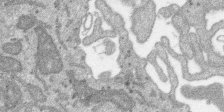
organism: Human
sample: Lung epithelial cells infected with SARS-CoV-2